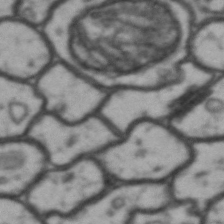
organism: Drosophila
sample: Brain